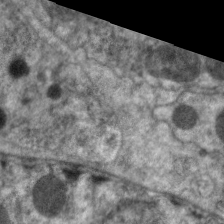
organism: C. elegans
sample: Pharynx